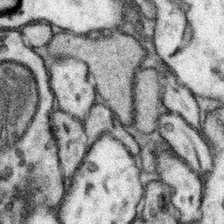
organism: Mouse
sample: Somatosensory cortex neuropil